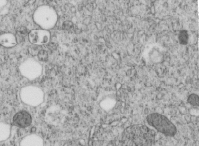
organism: C. elegans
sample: C. elegans embryo early stage